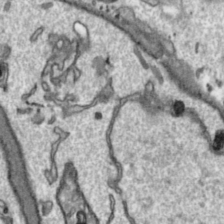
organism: Toxoplasma gondii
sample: Parasites in a vacuole inside a host cell